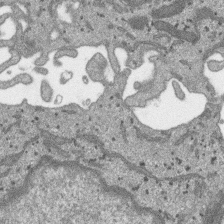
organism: Human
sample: Lung epithelial cells infected with SARS-CoV-2